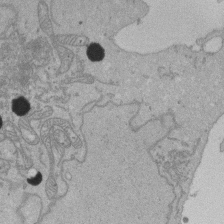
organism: Human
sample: Activated Jurkat CD4+ T cells